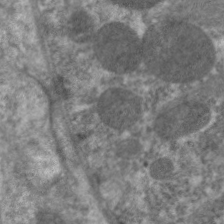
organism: C. elegans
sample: Pharynx